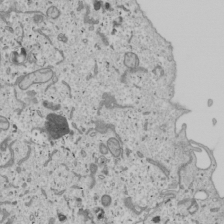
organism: Human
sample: Mitochondria in U2OS cells